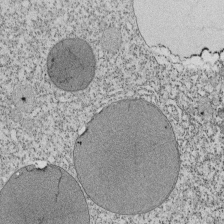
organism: Tetrahymena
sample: Cilia in tetrahymena